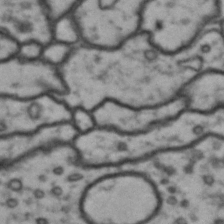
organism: Drosophila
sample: Brain